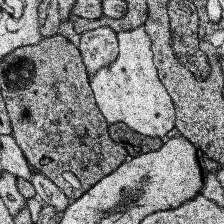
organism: Human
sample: Temporal Lobe